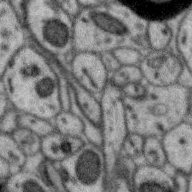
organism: Zebra finch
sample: Brain